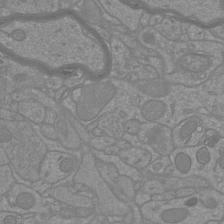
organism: Mouse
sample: Cortical neurons